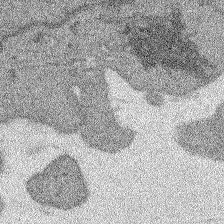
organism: Human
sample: HeLa cells